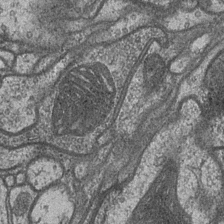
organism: Drosophila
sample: Optic medulla